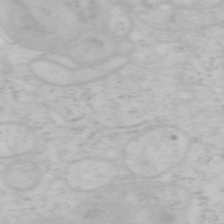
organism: Mouse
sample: OT-I killer T cells with ID8 ovarian cancer cells